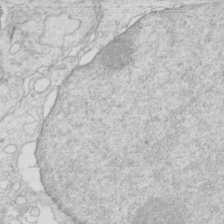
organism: Mouse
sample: Multiciliated cells